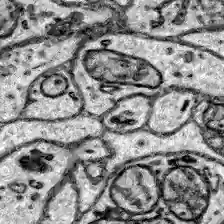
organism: Zebrafish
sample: Brain